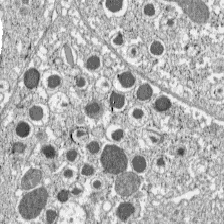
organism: C57BL Mouse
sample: Pancreatic islet